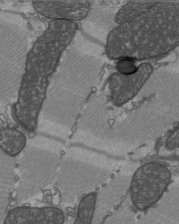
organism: C57BL Mouse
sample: Heart